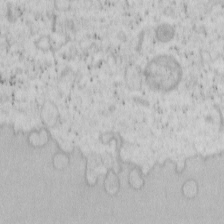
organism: Human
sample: HeLa cells